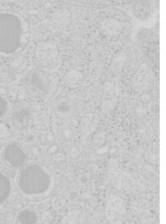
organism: Mouse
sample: Pancreas